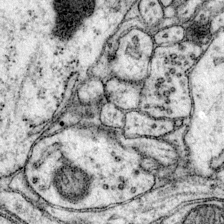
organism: Mouse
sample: Primary visual cortex